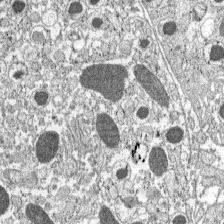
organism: C57BL Mouse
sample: Pancreatic islet